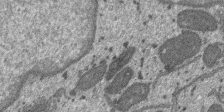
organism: Human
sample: Lung epithelial cells infected with SARS-CoV-2